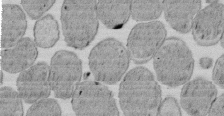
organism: E. coli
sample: Bacterial nucleoid